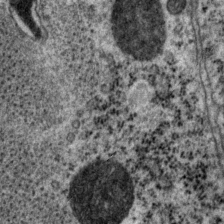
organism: P. pacificus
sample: Pharynx